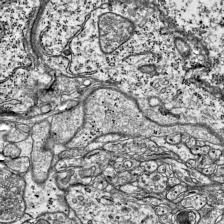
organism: Mouse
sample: Visual Cortex